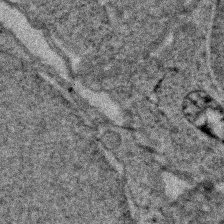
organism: Zebrafish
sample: Zebrafish embryo